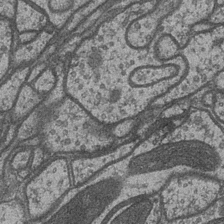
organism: Drosophila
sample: Optic medulla